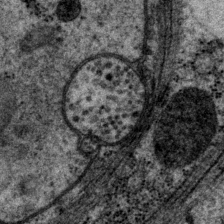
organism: P. pacificus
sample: Pharynx